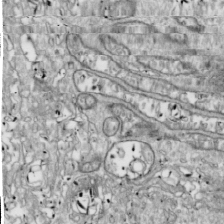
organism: Drosophila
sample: Cell division; meiosis; drosophila spermatocytes